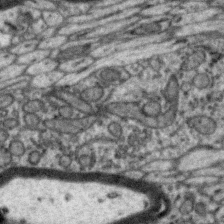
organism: Zebra finch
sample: Brain